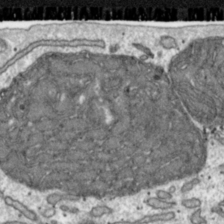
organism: Toxoplasma gondii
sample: Parasites in a vacuole inside a host cell